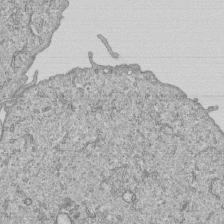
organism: Human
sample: MDA-MB-231 cells